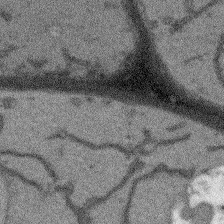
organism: Arabidopsis thaliana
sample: Root tip